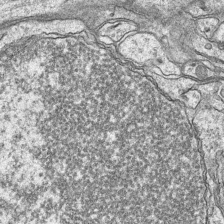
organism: Mouse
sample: CA1 Hippocampus